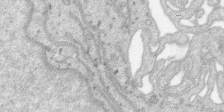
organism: Human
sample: Lung epithelial cells infected with SARS-CoV-2